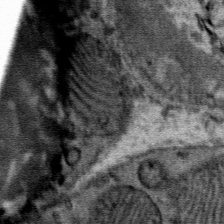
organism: Mouse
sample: Mouse Salivary gland